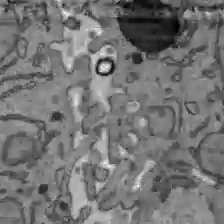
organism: C57BL Mouse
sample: Liver